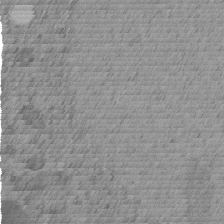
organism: C. elegans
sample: C. elegans embryo early stage